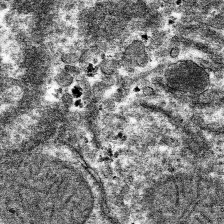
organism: Mouse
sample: Mouse hepatocytes